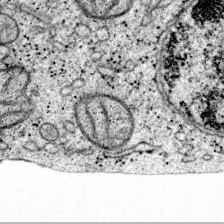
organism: Human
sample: HeLa cells